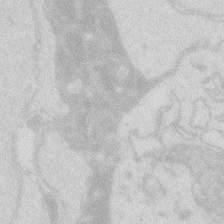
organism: Zebrafish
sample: Macrophage